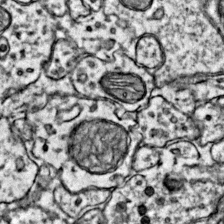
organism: Mouse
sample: Primary visual cortex